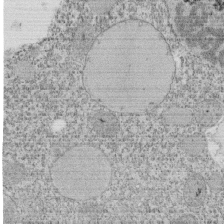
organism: Tetrahymena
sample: Cilia in tetrahymena